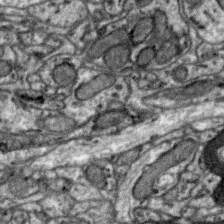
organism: Zebra finch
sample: Brain